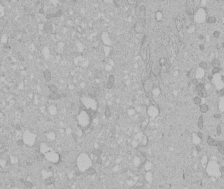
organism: Human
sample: Melanocyte Keratinocyte synapse skin construct